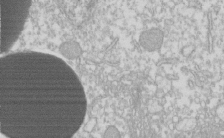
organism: Xenopus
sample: Cilia; centrioles in frog embryo cells